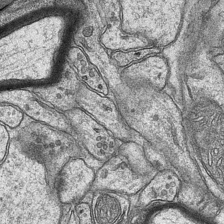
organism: Mouse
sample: CA1 Hippocampus